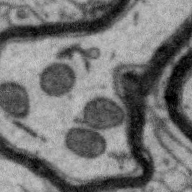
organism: Zebra finch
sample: Brain